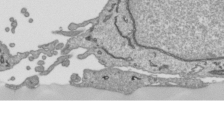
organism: Human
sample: Mitochondria in HCT116 cells